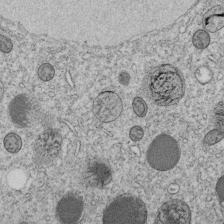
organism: C. elegans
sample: C. elegans embryo early stage